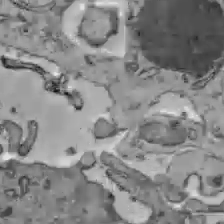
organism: C57BL Mouse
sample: Liver